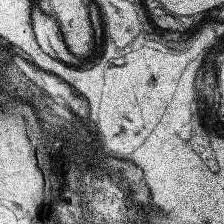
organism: Human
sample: Temporal Lobe